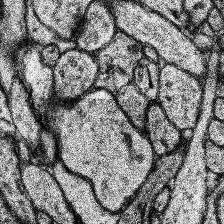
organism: Human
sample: Temporal Lobe